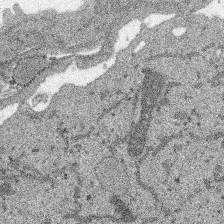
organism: Human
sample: Lung epithelial cells infected with SARS-CoV-2